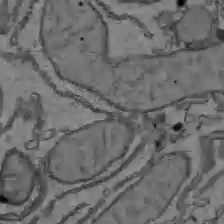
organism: C57BL Mouse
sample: Liver